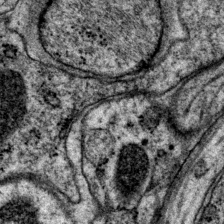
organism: P. pacificus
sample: Pharynx